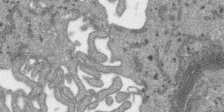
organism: Human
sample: Lung epithelial cells infected with SARS-CoV-2